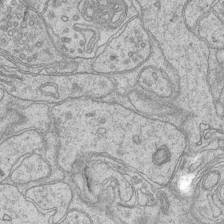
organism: Mouse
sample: CA1 Hippocampus